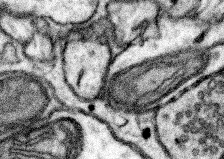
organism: Mouse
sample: Somatosensory cortex neuropil